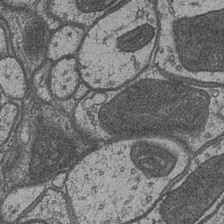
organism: Drosophila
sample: Optic medulla